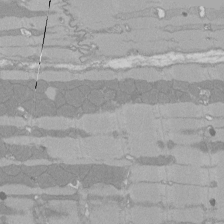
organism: Rat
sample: Left ventricle